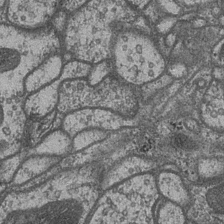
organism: Drosophila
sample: Optic medulla